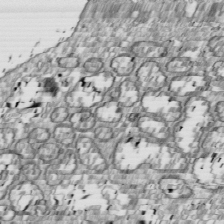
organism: Drosophila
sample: Cell division; meiosis; drosophila spermatocytes